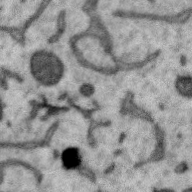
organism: Zebra finch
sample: Brain